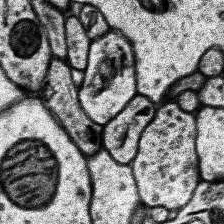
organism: Human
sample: Temporal Lobe